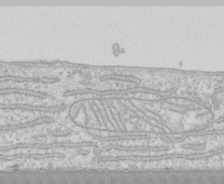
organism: Human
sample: CRL-1474